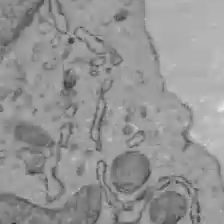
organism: C57BL Mouse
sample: Liver